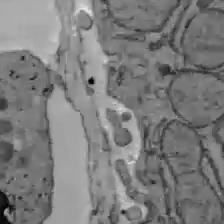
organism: C57BL Mouse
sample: Liver